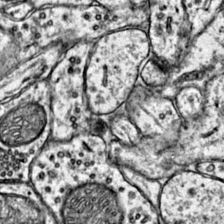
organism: Mouse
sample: Primary visual cortex